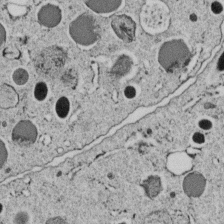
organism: C. elegans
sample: C. elegans embryo early stage